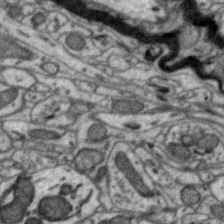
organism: Zebra finch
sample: Brain